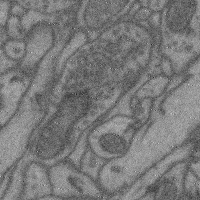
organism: Mouse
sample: Cerebral cortex